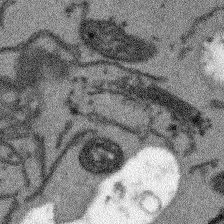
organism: Arabidopsis thaliana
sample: Root tip